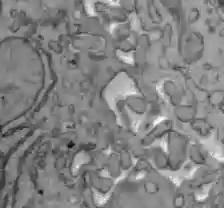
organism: C57BL Mouse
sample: Liver